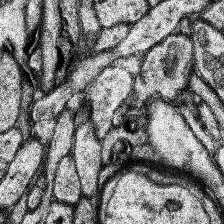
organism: Human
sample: Temporal Lobe